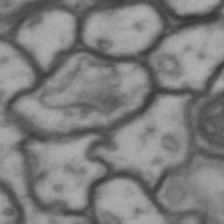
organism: Drosophila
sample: Brain